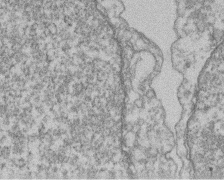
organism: Mouse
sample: T cell stromal cell synapse